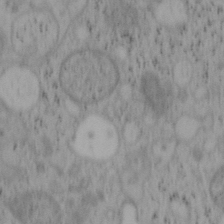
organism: Mouse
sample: OT-I killer T cells with ID8 ovarian cancer cells